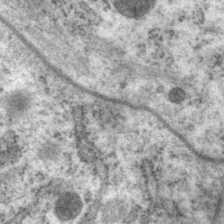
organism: P. pacificus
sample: Pharynx